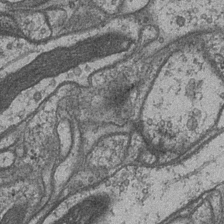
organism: Drosophila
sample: Optic medulla